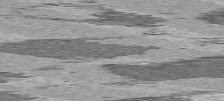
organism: C57BL Mouse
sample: Heart